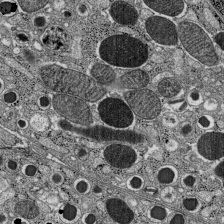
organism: C57BL Mouse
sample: Pancreatic islet